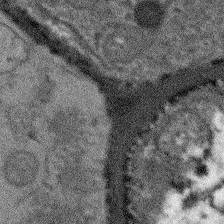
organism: Arabidopsis thaliana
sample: Root tip